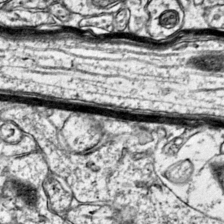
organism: Mouse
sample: Primary visual cortex